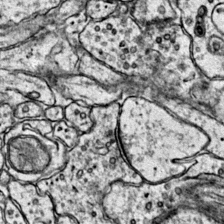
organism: Mouse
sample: Primary visual cortex